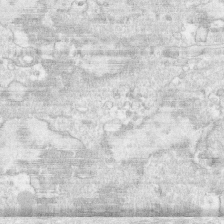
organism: Human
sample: CRL-1474